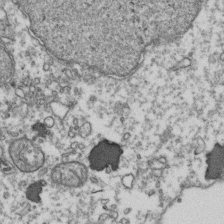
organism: Human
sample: Activated Jurkat CD4+ T cells